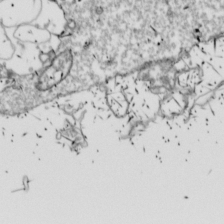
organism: Drosophila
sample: Cell division; meiosis; drosophila spermatocytes